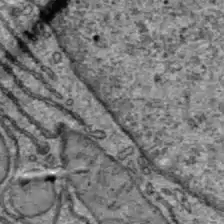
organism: C57BL Mouse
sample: Liver